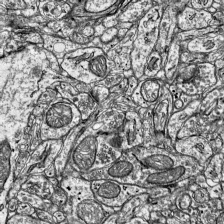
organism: Mouse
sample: Visual Cortex